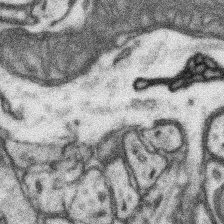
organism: Mouse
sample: Somatosensory cortex neuropil